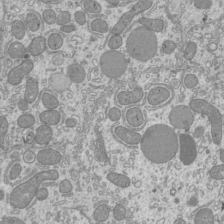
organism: Mouse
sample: Cilia; mouse epididymis